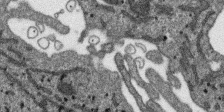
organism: Human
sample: Lung epithelial cells infected with SARS-CoV-2